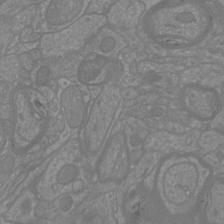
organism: Mouse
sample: Cortical neurons